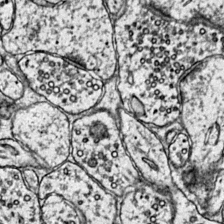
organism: Mouse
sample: Primary visual cortex